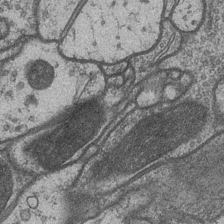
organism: Drosophila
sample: Optic medulla